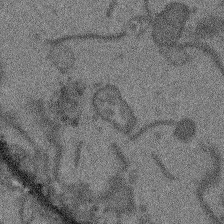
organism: Arabidopsis thaliana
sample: Root tip